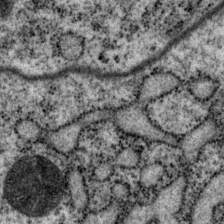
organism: P. pacificus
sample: Pharynx